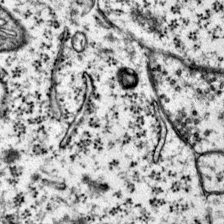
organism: Mouse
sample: Primary visual cortex